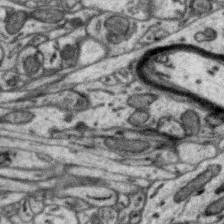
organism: Zebra finch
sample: Brain